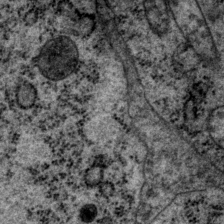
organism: P. pacificus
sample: Pharynx